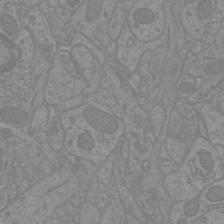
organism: Mouse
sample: Cortical neurons